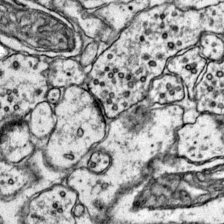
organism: Mouse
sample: Primary visual cortex